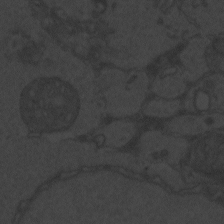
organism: Zebrafish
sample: Macrophage infected with Toxoplasma gondii